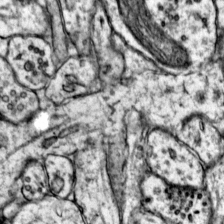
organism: Mouse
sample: Primary visual cortex